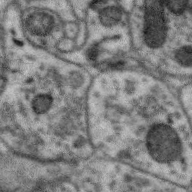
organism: Zebra finch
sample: Brain